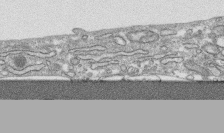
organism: Human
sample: CRL-1474